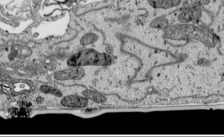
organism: Human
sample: Mitochondria in HCT116 cells